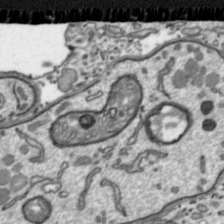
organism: Toxoplasma gondii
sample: Parasites in a vacuole inside a host cell